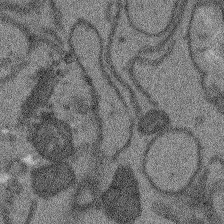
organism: Arabidopsis thaliana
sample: Root tip